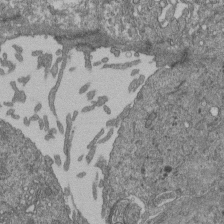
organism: Human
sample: Retinal organoid Rod and Cone cells